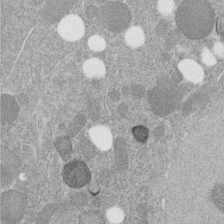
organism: C. elegans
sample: C. elegans embryo early stage